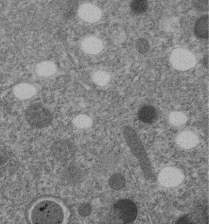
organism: C. elegans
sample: C. elegans embryo early stage